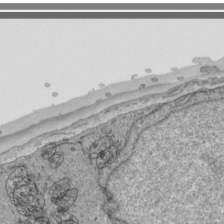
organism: Human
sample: Mitochondria in HCT116 cells